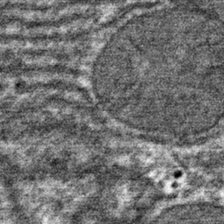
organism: Mouse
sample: Mouse hepatocytes